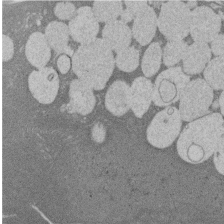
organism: Rat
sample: Salivary granule